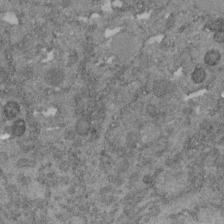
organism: C. elegans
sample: C. elegans embryo early stage